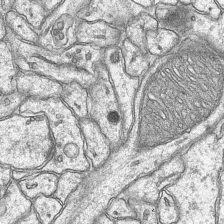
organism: Mouse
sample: CA1 Hippocampus